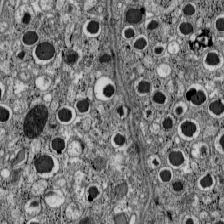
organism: C57BL Mouse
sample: Pancreatic islet